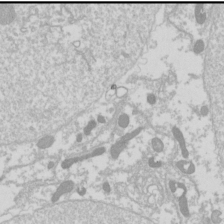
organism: Drosophila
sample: Cell division; meiosis; drosophila spermatocytes